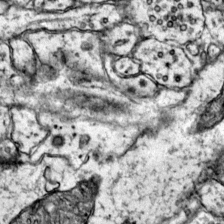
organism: Mouse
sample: Primary visual cortex